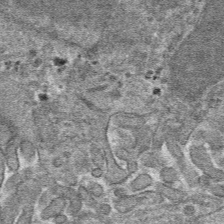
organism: Mouse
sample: Mouse hepatocytes